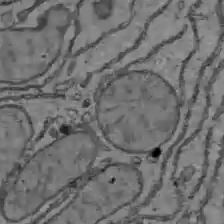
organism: C57BL Mouse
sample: Liver